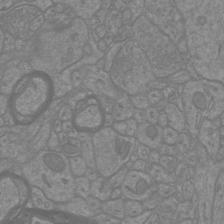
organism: Mouse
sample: Cortical neurons